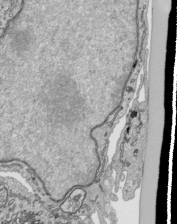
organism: Human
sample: Mitochondria in HCT116 cells